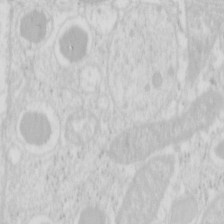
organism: Mouse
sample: Pancreas